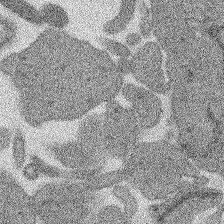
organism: Human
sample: HeLa cells